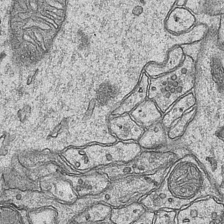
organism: Mouse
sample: CA1 Hippocampus